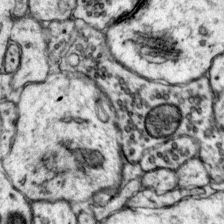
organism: Mouse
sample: Primary visual cortex